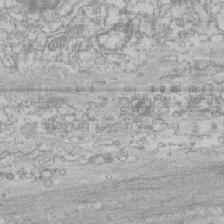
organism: Human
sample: CRL-1474